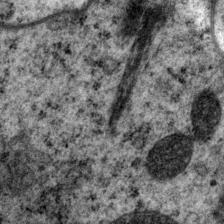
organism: P. pacificus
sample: Pharynx